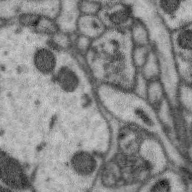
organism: Zebra finch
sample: Brain